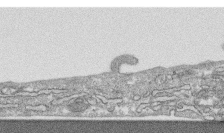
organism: Human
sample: CRL-1474